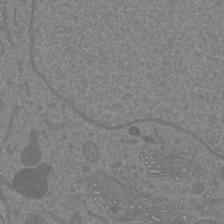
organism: Mouse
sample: Cortical neurons